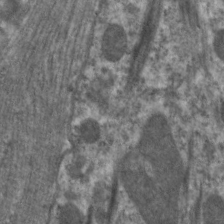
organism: C. elegans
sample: Pharynx